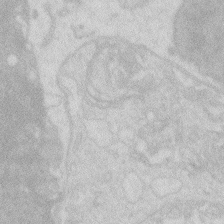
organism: Zebrafish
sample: Macrophage